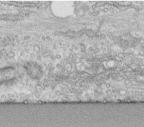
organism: Human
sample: Centriole in fibroblast cells